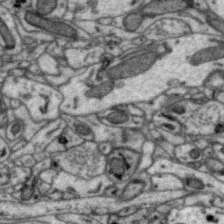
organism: Zebra finch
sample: Brain